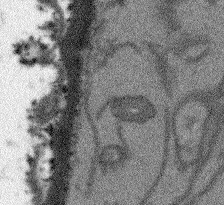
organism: Arabidopsis thaliana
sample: Root tip